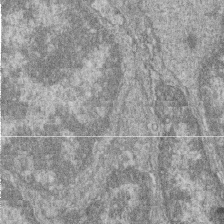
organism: Zebrafish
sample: Cilia; retinal pigment epithelium